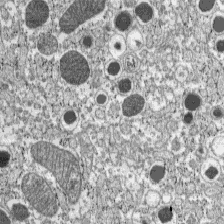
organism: C57BL Mouse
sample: Pancreatic islet